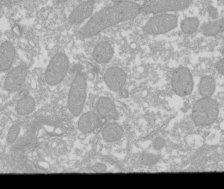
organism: Xenopus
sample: Cilia; centrioles in frog embryo cells